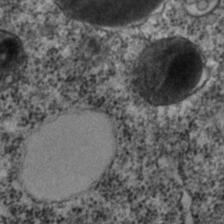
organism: C. elegans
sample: C. elegans embryo